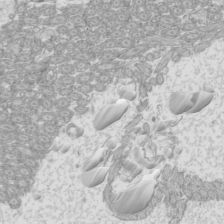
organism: Mouse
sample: Cilia; mouse epididymis